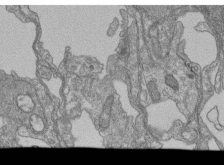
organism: Human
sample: Retinal organoid Rod and Cone cells